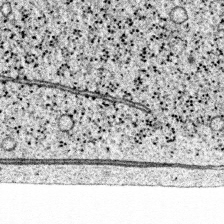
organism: Human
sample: HeLa cells